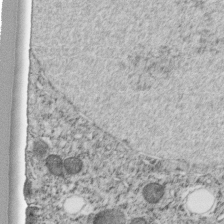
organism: C. elegans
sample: C. elegans embryo early stage